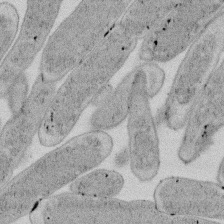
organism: E. coli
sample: Bacterial nucleoid